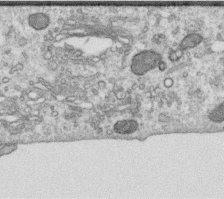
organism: Human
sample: Centriole in RPE cells